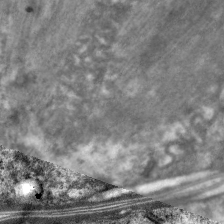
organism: C. elegans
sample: Pharynx